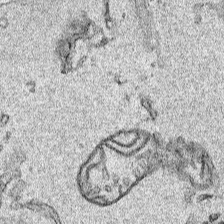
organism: Human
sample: Mitochondria in HCT116 cells